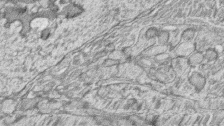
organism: Zebrafish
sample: synaptic ribbons in rod cells and cone cells